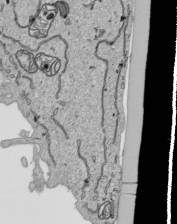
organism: Human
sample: Mitochondria in HCT116 cells